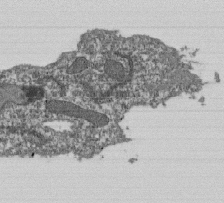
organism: Dictyostelium discoideum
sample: Dictyostelium multivesicular bodies